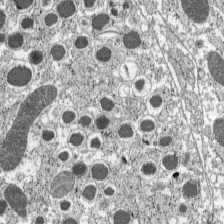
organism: C57BL Mouse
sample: Pancreatic islet